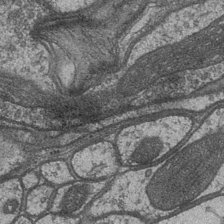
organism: Drosophila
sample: Optic medulla